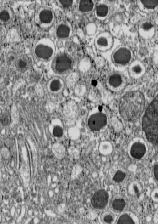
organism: C57BL Mouse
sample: Pancreatic islet